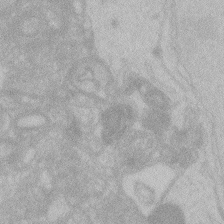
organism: Zebrafish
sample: Macrophage infected with Toxoplasma gondii